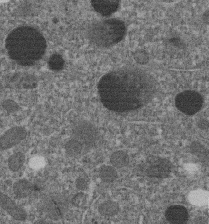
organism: C. elegans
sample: C. elegans embryo early stage